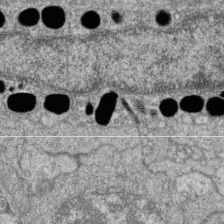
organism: Zebrafish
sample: Cilia; retinal pigment epithelium